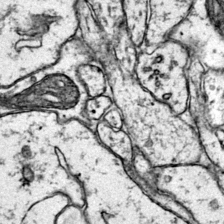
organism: Mouse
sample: Primary visual cortex